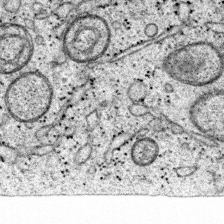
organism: Human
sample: HeLa cells